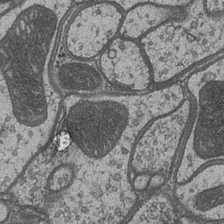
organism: Drosophila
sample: Optic medulla